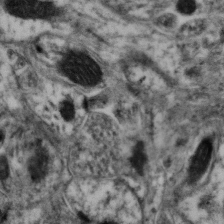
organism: Mouse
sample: Neocortex